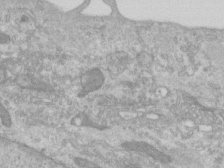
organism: Human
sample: Centriole in RPE cells